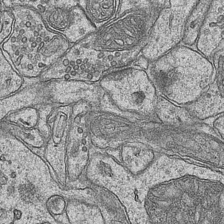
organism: Mouse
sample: CA1 Hippocampus